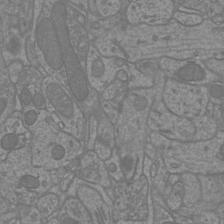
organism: Mouse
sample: Cortical neurons